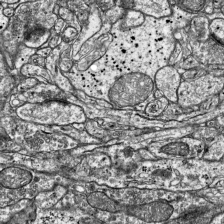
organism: Mouse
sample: Visual Cortex